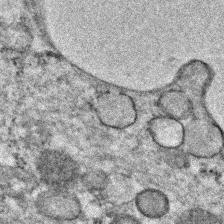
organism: Zebrafish